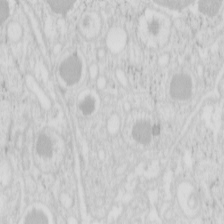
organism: Mouse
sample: Pancreas